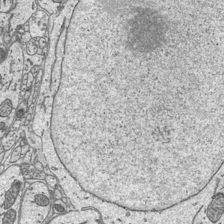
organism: Mouse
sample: Suprachiasmatic nucleus